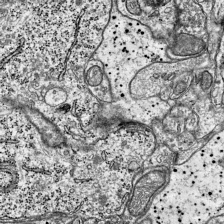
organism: Mouse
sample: Visual Cortex